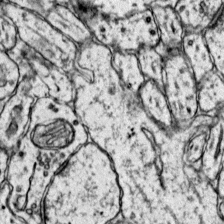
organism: Mouse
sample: Primary visual cortex